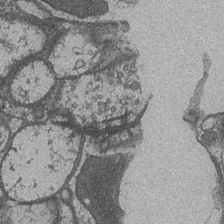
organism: Drosophila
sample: Optic medulla